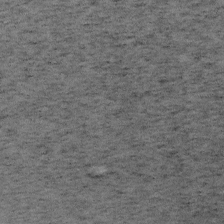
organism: Mouse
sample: OT-I killer T cells with ID8 ovarian cancer cells